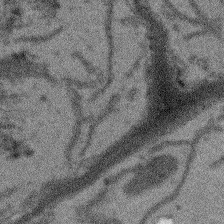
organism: Arabidopsis thaliana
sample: Root tip